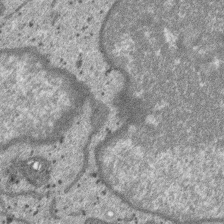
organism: Human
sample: Lung epithelial cells infected with SARS-CoV-2